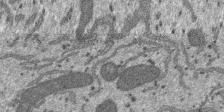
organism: Human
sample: Lung epithelial cells infected with SARS-CoV-2